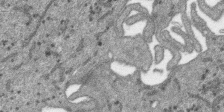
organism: Human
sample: Lung epithelial cells infected with SARS-CoV-2